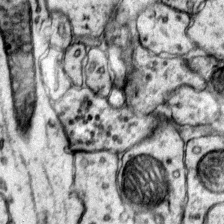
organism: Mouse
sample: Primary visual cortex